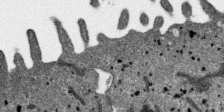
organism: Human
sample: Lung epithelial cells, uninfected (mock) control